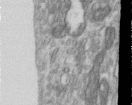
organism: Human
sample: Centriole in RPE cells